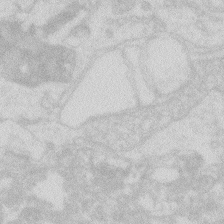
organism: Zebrafish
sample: Macrophage